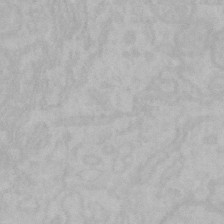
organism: Mouse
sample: Choroid plexus